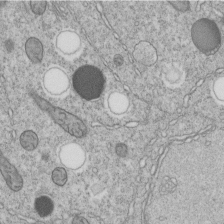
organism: C. elegans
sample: C. elegans embryo early stage